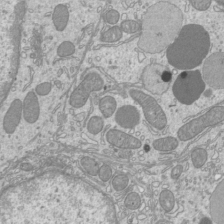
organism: Mouse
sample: Cilia; mouse epididymis